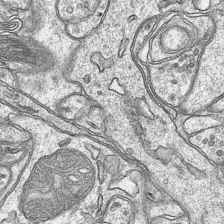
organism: Mouse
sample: CA1 Hippocampus